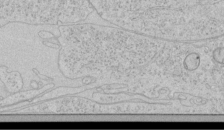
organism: Human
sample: Mitochondria in HCT116 cells